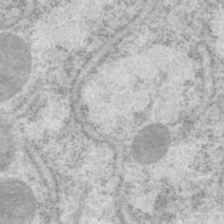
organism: P. pacificus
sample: Pharynx